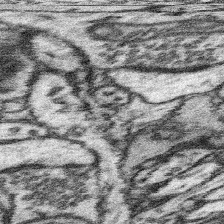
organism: Mouse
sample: Somatosensory cortex neuropil